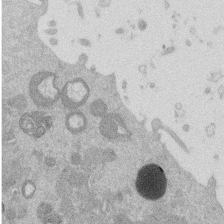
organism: Mouse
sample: Dividing mouse embryo 1 cell stage